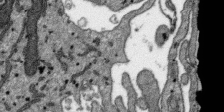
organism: Human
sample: Lung epithelial cells, uninfected (mock) control